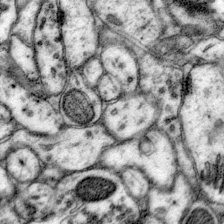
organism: Mouse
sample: Primary visual cortex